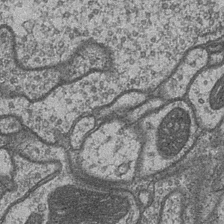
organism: Drosophila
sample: Optic medulla